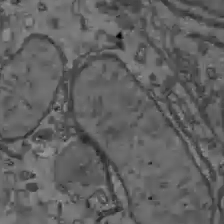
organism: C57BL Mouse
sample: Liver